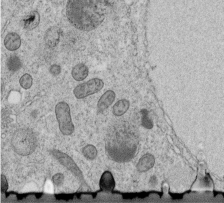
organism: C. elegans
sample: C. elegans embryo early stage